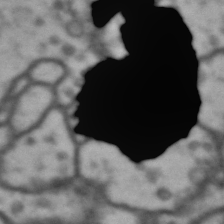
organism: Drosophila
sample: Brain